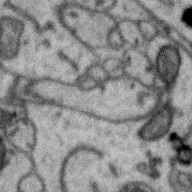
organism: Zebra finch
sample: Brain